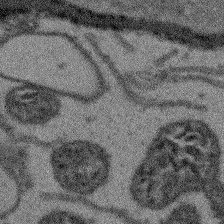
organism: Arabidopsis thaliana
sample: Root tip